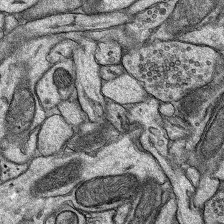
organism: Rat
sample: Hippocampus